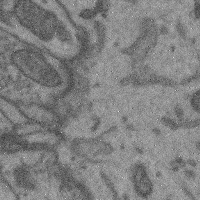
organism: Mouse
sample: Cerebral cortex